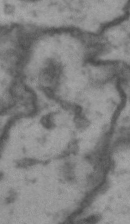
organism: Drosophila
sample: Brain